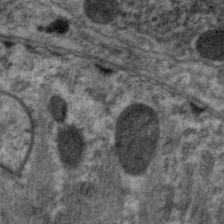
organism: C. elegans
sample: Pharynx